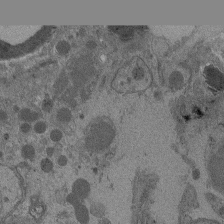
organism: Drosophila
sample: Antenna